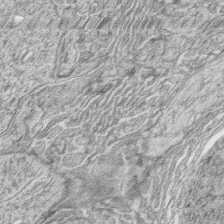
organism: Zebrafish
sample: synaptic ribbons in rod cells and cone cells